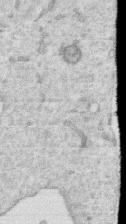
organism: Human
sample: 1205lu cells